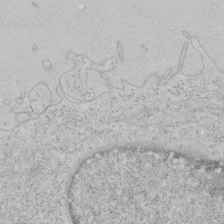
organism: Human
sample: Mitochondria in HCT116 cells